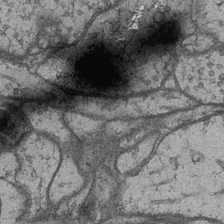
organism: Drosophila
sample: Optic medulla